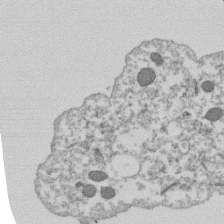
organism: Dictyostelium discoideum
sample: Dictyostelium multivesicular bodies